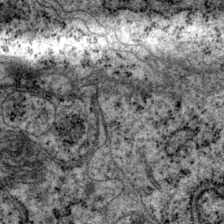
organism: P. pacificus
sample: Pharynx